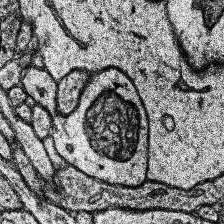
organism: Human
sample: Temporal Lobe